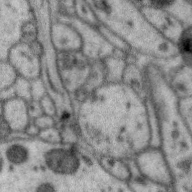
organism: Zebra finch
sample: Brain